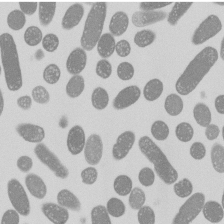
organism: E. coli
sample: Bacterial nucleoid